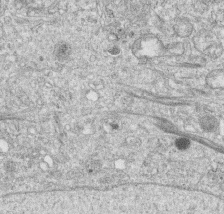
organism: Human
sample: HeLa cell HIV synapse